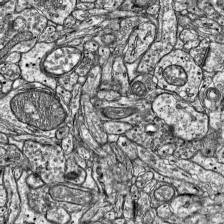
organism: Mouse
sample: Visual Cortex